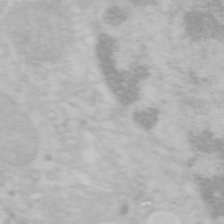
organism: Mouse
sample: OT-I killer T cells with ID8 ovarian cancer cells